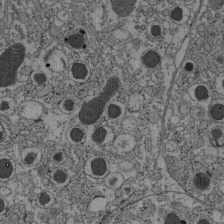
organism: C57BL Mouse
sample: Pancreatic islet